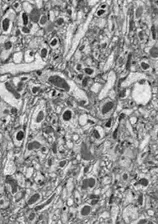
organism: Drosophila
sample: Optic lobe